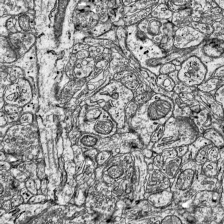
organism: Mouse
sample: Visual Cortex